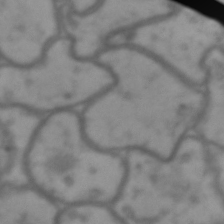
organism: Drosophila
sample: Brain